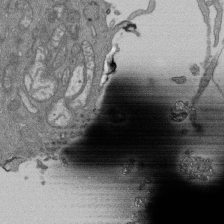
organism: Human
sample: Retinal organoid Rod and Cone cells